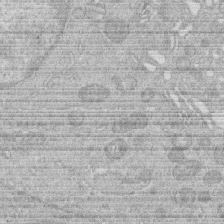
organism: Human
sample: Macrophage cells